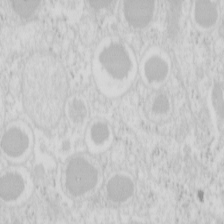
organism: Mouse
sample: Pancreas